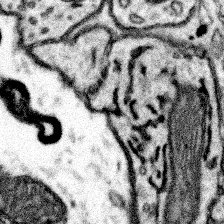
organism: Mouse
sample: Somatosensory cortex neuropil